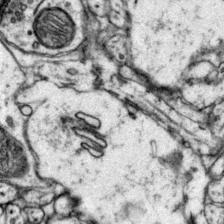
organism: Mouse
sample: Primary visual cortex